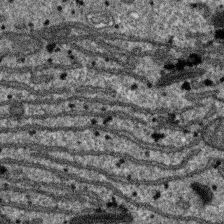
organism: Human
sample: Lung epithelial cells infected with SARS-CoV-2